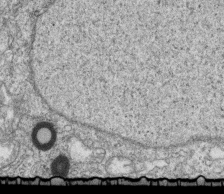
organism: Human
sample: HeLa cell HIV synapse